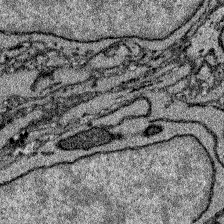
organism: Zebrafish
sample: Larval olfactory bulb